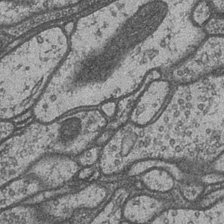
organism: Drosophila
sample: Optic medulla